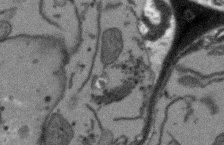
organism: Arabidopsis thaliana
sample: Root tip